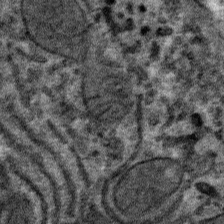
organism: Mouse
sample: Mouse hepatocytes